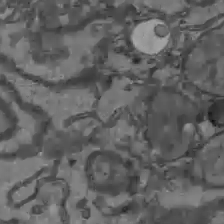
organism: C57BL Mouse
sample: Liver